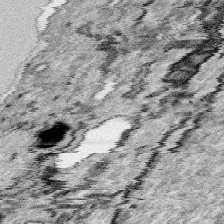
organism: Human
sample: HeLa cells